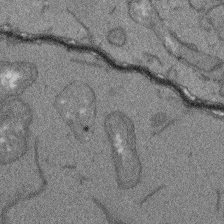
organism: Arabidopsis thaliana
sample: Root tip